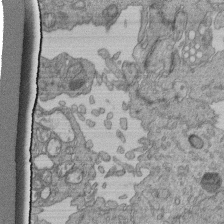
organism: Human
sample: Retinal organoid Rod and Cone cells